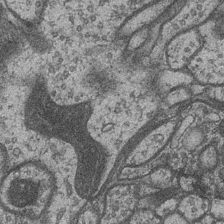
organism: Drosophila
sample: Optic medulla